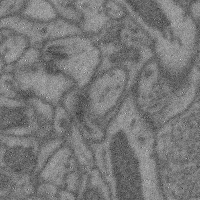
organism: Mouse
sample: Cerebral cortex